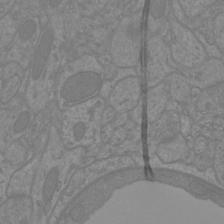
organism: Mouse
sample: Cortical neurons